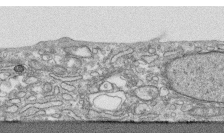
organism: Human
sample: CRL-1474